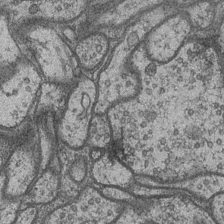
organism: Drosophila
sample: Optic medulla